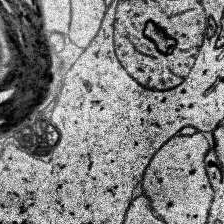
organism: Human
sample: Temporal Lobe